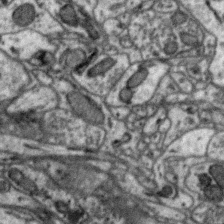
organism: Zebra finch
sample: Brain